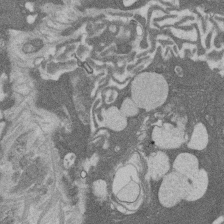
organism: Rat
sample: Salivary granule